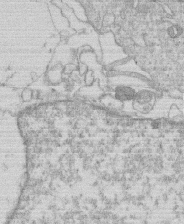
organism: Human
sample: Macrophage cells